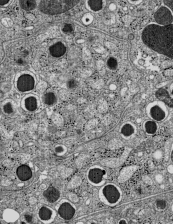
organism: C57BL Mouse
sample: Pancreatic islet